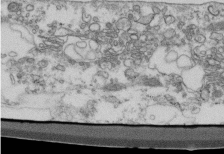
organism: Mouse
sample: Cilia; retinal pigment epithelium